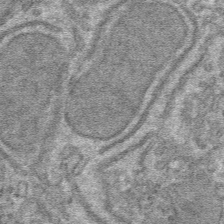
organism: Mouse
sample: Mouse hepatocytes